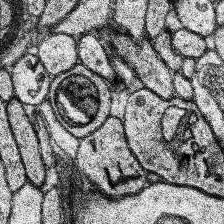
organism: Human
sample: Temporal Lobe